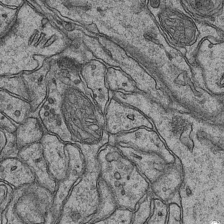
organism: Mouse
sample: CA1 Hippocampus